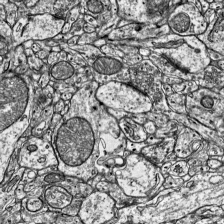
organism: Mouse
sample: Visual Cortex